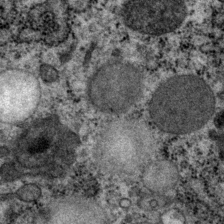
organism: P. pacificus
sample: Pharynx